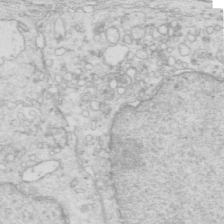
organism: Mouse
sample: Multiciliated cells